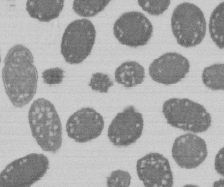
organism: E. coli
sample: Bacterial nucleoid